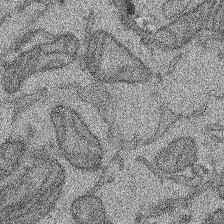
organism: Human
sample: HeLa cells